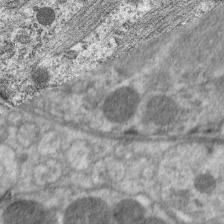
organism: C. elegans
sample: Pharynx